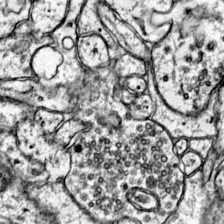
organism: Mouse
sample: Primary visual cortex